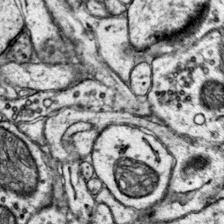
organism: Mouse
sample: Primary visual cortex